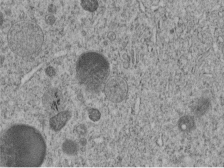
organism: C. elegans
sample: C. elegans embryo early stage